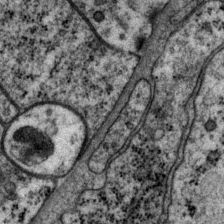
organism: P. pacificus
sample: Pharynx